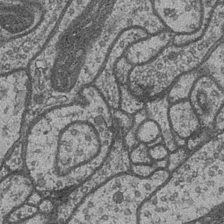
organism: Drosophila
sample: Optic medulla